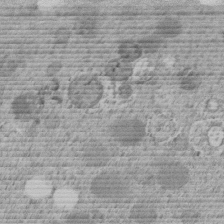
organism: C. elegans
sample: C. elegans embryo early stage